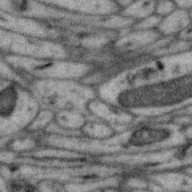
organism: Zebra finch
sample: Brain